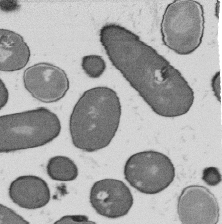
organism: B. subtilis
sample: Bacterial spore